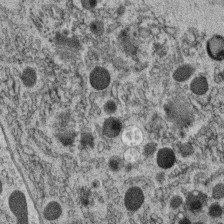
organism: C. elegans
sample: C. elegans oocyte; sperm cells